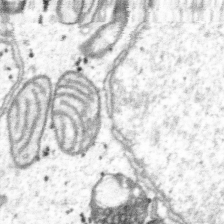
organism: Human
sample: HeLa cells